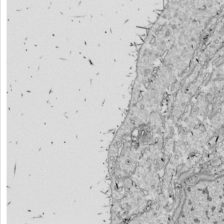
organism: Drosophila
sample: Cell division; meiosis; drosophila spermatocytes